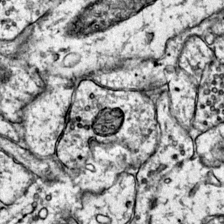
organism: Mouse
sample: Primary visual cortex